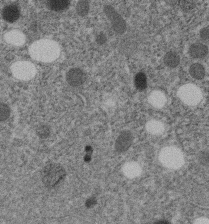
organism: C. elegans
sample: C. elegans embryo early stage